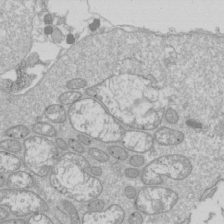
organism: Drosophila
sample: Cell division; meiosis; drosophila spermatocytes